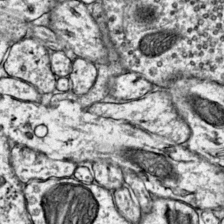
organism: Mouse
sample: Primary visual cortex